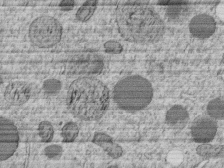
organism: C. elegans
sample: C. elegans embryo early stage